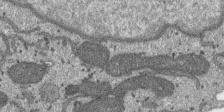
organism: Human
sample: Lung epithelial cells infected with SARS-CoV-2